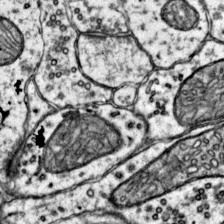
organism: Mouse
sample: Primary visual cortex